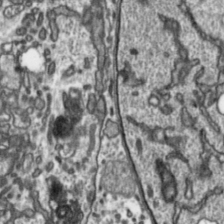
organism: Toxoplasma gondii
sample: Parasites in a vacuole inside a host cell